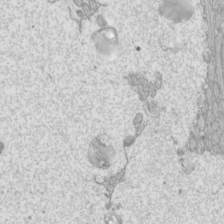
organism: Mouse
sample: Cilia; mouse epididymis